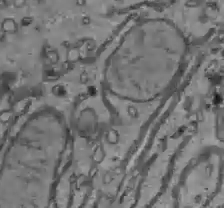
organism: C57BL Mouse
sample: Liver